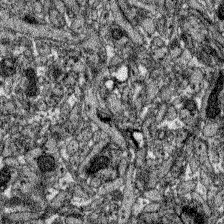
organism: Zebrafish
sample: Larval olfactory bulb